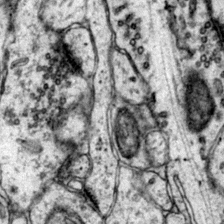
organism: Mouse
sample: Primary visual cortex